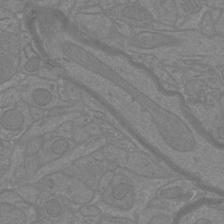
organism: Mouse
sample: Cortical neurons